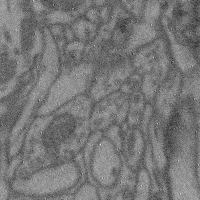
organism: Mouse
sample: Cerebral cortex